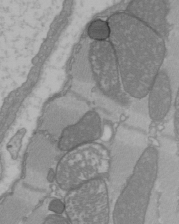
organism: C57BL Mouse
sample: Heart